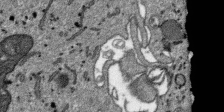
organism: Human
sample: Lung epithelial cells, uninfected (mock) control